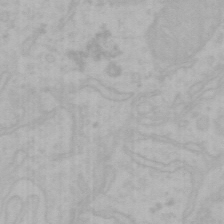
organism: Mouse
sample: Choroid plexus